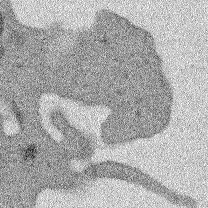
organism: Human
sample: HeLa cells